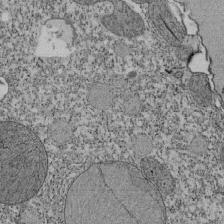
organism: Tetrahymena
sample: Cilia in tetrahymena